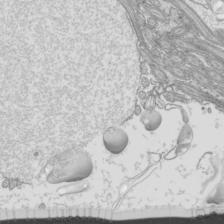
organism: Mouse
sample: Cilia; mouse epididymis